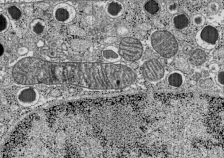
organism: C57BL Mouse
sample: Pancreatic islet